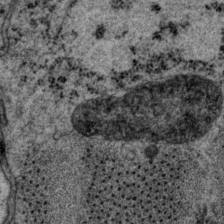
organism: P. pacificus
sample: Pharynx